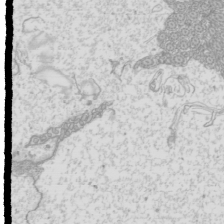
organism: Mouse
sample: Cilia; mouse epididymis